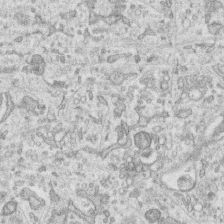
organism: Human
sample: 1205lu cells